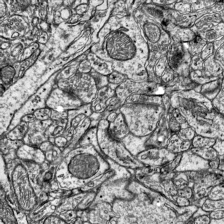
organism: Mouse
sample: Visual Cortex